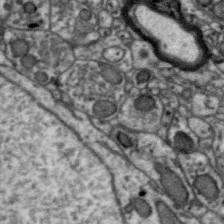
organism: Zebra finch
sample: Brain